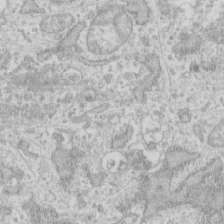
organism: Human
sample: Fibroblast cells